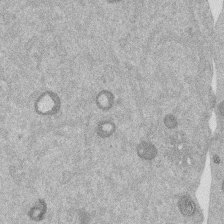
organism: Mouse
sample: Dividing mouse embryo 1 cell stage